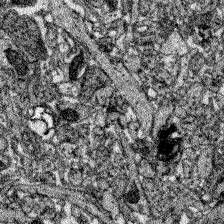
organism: Zebrafish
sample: Larval olfactory bulb